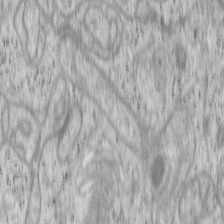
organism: Human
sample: HeLa cells